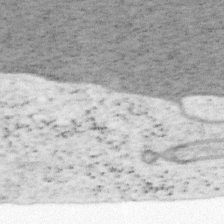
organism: Mouse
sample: OT-I killer T cells with ID8 ovarian cancer cells